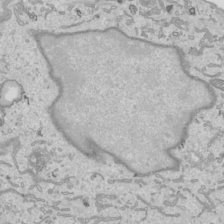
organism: Human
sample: Mitochondria in HCT116 cells